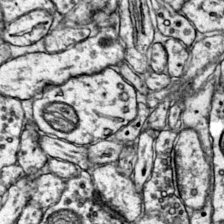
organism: Mouse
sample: Primary visual cortex